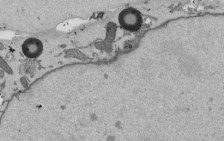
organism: Mouse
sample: ED-1 cell nuclei; centrioles